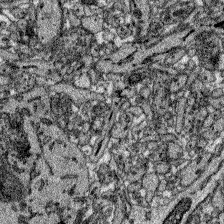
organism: Zebrafish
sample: Larval olfactory bulb